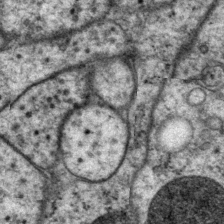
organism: P. pacificus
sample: Pharynx